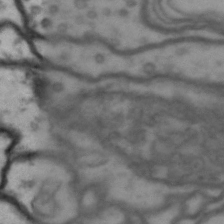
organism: Drosophila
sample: Brain